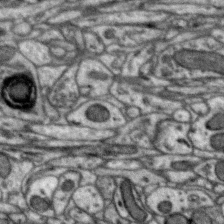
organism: Zebra finch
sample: Brain